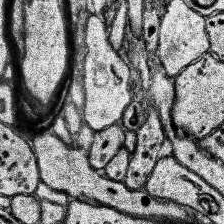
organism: Human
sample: Temporal Lobe